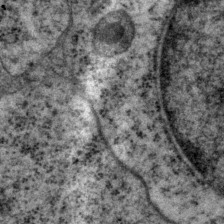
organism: P. pacificus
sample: Pharynx